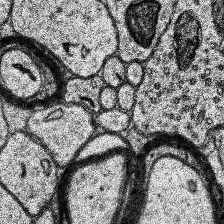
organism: Human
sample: Temporal Lobe